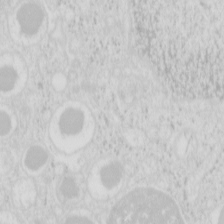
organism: Mouse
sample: Pancreas